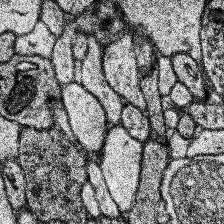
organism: Human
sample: Temporal Lobe